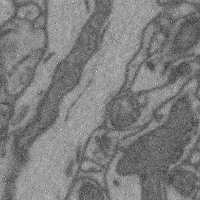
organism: Mouse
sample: Cerebral cortex